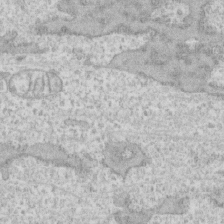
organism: Human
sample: CRL-1474